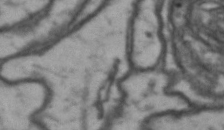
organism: Drosophila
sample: Brain